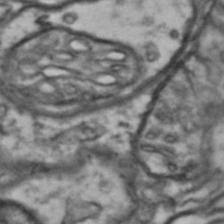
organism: Drosophila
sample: Brain